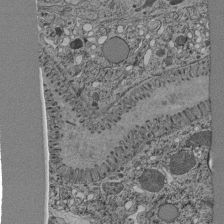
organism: C. elegans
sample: C. elegans pharynx